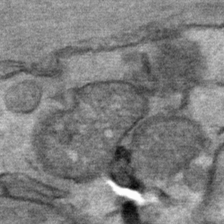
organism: Mouse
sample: Mouse Salivary gland